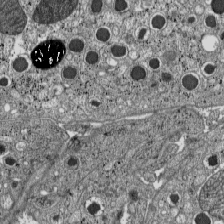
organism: C57BL Mouse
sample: Pancreatic islet